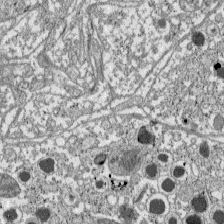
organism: C57BL Mouse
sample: Pancreatic islet